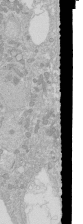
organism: Human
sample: Caco-2 cells